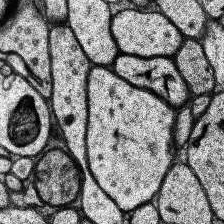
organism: Human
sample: Temporal Lobe